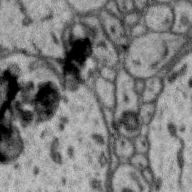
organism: Zebra finch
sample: Brain